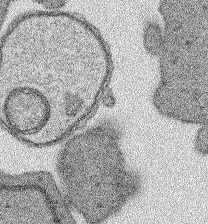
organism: Human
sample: HeLa cells